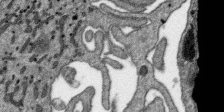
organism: Human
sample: Lung epithelial cells, uninfected (mock) control